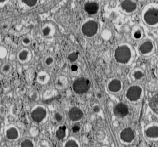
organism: C57BL Mouse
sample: Pancreatic islet